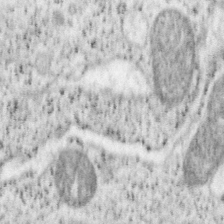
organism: Mouse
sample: OT-I killer T cells with ID8 ovarian cancer cells